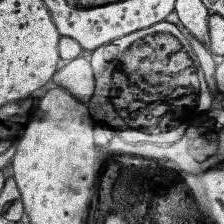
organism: Human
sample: Temporal Lobe